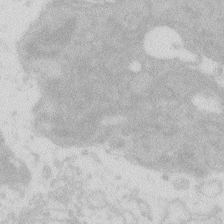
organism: Zebrafish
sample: Macrophage